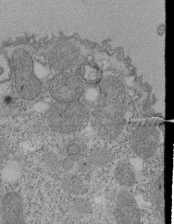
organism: Tetrahymena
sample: Cilia in tetrahymena